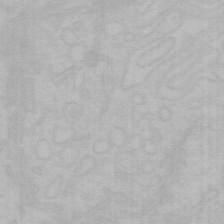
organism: Mouse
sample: Choroid plexus